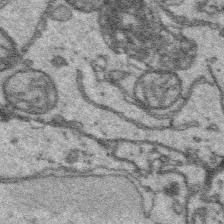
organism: Platynereis dumerilii